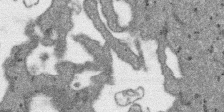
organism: Human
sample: Lung epithelial cells infected with SARS-CoV-2